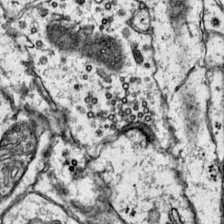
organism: Mouse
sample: Primary visual cortex